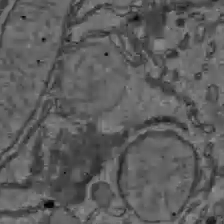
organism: C57BL Mouse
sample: Liver